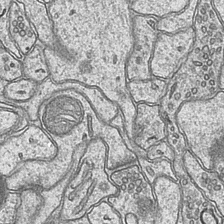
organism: Mouse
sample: CA1 Hippocampus